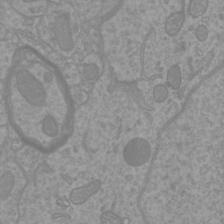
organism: Mouse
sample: Cortical neurons